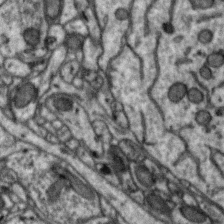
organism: Zebra finch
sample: Brain